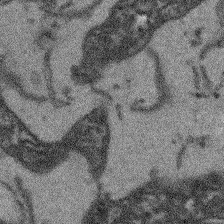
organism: Arabidopsis thaliana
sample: Root tip